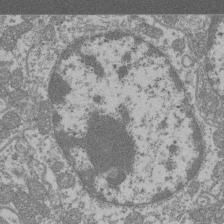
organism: Mouse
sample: Glomerulus